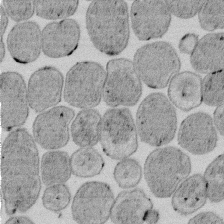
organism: E. coli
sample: Bacterial nucleoid